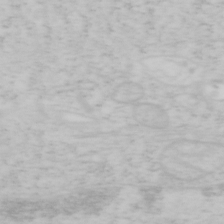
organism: Mouse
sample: OT-I killer T cells with ID8 ovarian cancer cells